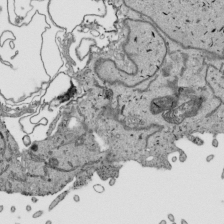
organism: Human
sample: Mitochondria in HCT116 cells